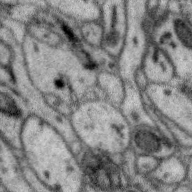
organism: Zebra finch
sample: Brain